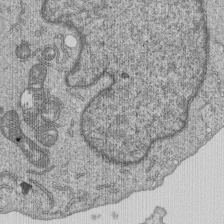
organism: Human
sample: MDA-MB-231 cells